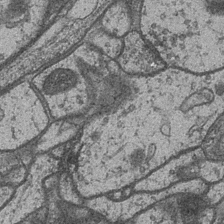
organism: Drosophila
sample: Optic medulla